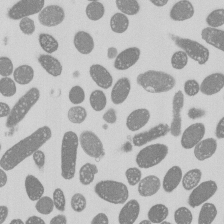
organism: E. coli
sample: Bacterial nucleoid